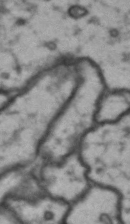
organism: Drosophila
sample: Brain